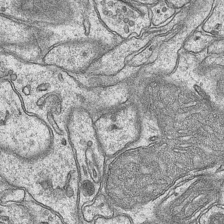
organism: Mouse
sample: CA1 Hippocampus